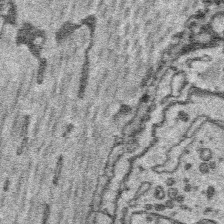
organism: Platynereis dumerilii